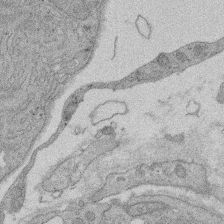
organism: Rat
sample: Salivary granule